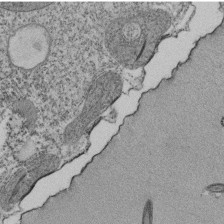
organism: Tetrahymena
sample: Cilia in tetrahymena